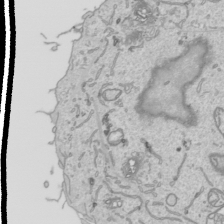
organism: Human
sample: Mitochondria in HCT116 cells